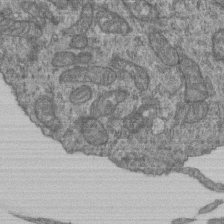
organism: Human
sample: Retinal organoid Rod and Cone cells